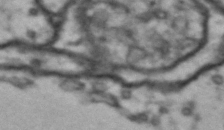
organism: Drosophila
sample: Brain